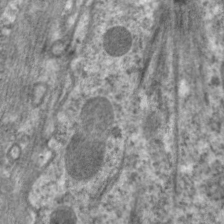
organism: C. elegans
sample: Pharynx